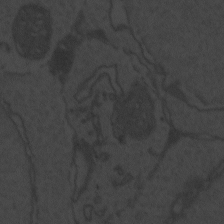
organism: Zebrafish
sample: Macrophage infected with Toxoplasma gondii